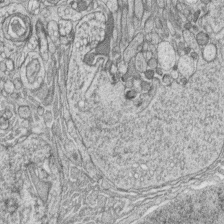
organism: Zebrafish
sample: synaptic ribbons in rod cells and cone cells